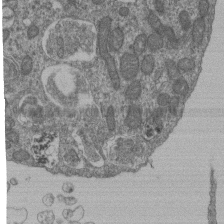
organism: Human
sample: Retinal organoid Rod and Cone cells